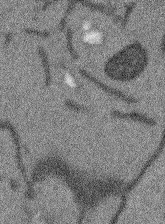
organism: Arabidopsis thaliana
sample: Root tip